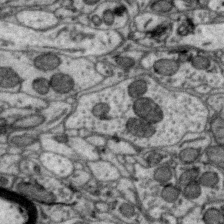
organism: Zebra finch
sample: Brain